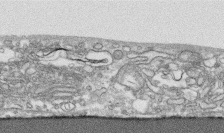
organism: Human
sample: CRL-1474